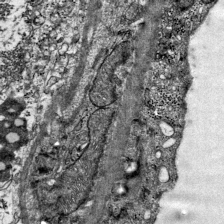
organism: Mouse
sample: Visual Cortex